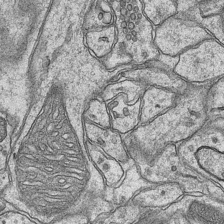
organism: Mouse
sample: CA1 Hippocampus